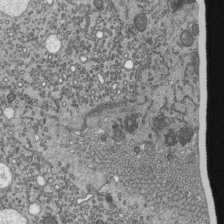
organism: Mouse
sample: Mouse epididymis efferent ductule cilia